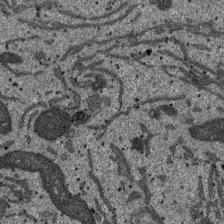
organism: Human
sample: Lung epithelial cells infected with SARS-CoV-2